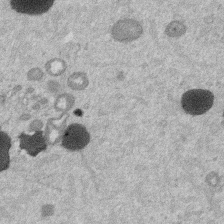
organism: Mouse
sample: Dividing mouse embryo 1 cell stage